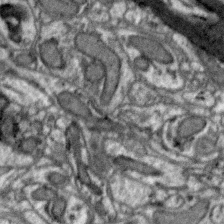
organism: Zebra finch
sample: Brain